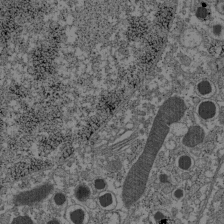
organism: C57BL Mouse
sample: Pancreatic islet